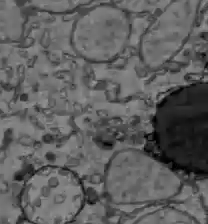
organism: C57BL Mouse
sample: Liver